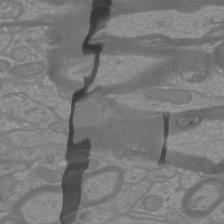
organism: Mouse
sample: Cortical neurons